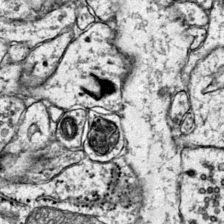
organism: Mouse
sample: Primary visual cortex